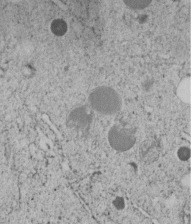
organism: C. elegans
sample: C. elegans embryo early stage